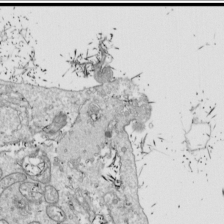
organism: Drosophila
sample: Cell division; meiosis; drosophila spermatocytes